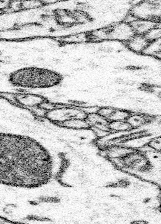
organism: Mouse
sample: Somatosensory cortex neuropil